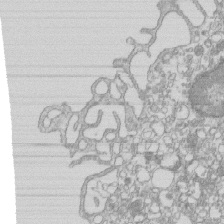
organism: Mouse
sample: Macrophages